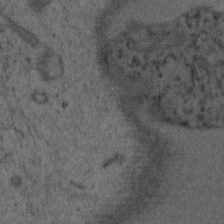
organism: Human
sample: HeLa cells